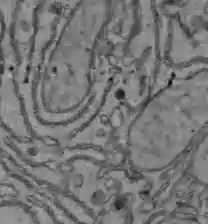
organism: C57BL Mouse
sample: Liver